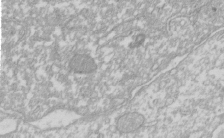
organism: Xenopus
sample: Cilia; centrioles in frog embryo cells